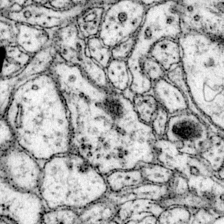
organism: Mouse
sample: Primary visual cortex